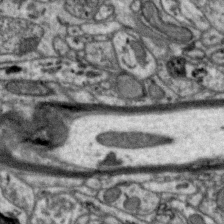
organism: Zebra finch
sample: Brain